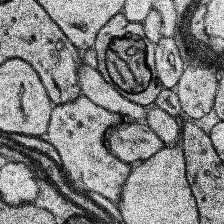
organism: Human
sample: Temporal Lobe